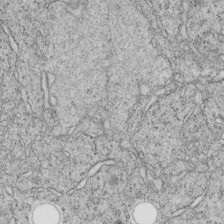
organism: C. elegans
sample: C. elegans embryo early stage